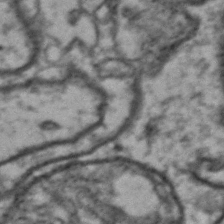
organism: Drosophila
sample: Brain